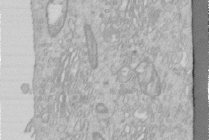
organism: Human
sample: Centriole in RPE cells